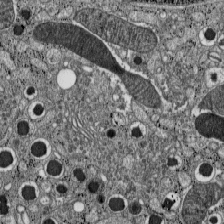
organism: C57BL Mouse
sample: Pancreatic islet